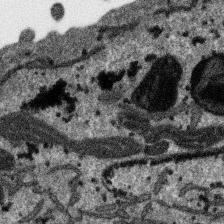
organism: Human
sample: Lung epithelial cells infected with SARS-CoV-2